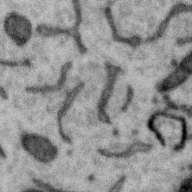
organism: Zebra finch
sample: Brain